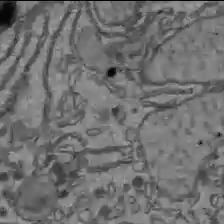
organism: C57BL Mouse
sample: Liver